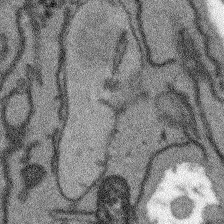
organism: Arabidopsis thaliana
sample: Root tip